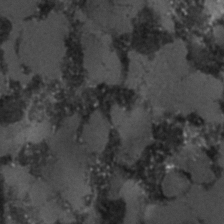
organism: C. elegans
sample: C. elegans embryo